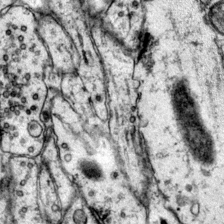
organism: Mouse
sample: Primary visual cortex